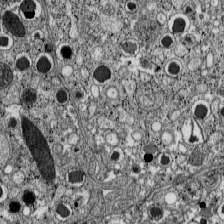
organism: C57BL Mouse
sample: Pancreatic islet